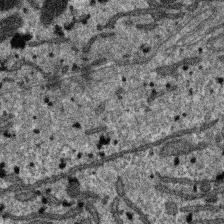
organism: Human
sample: Lung epithelial cells infected with SARS-CoV-2